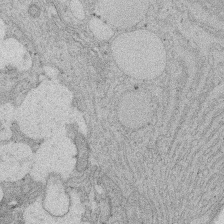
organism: Rat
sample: Salivary granule